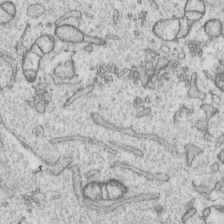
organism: Human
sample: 1205lu cells